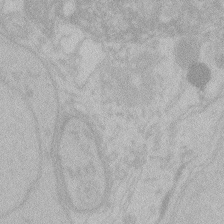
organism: Zebrafish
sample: Macrophage infected with Toxoplasma gondii